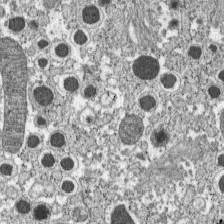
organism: C57BL Mouse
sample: Pancreatic islet